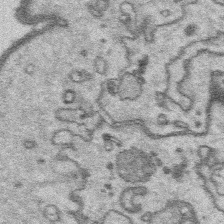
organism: Platynereis dumerilii